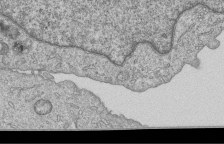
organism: Human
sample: MDA-MB-231 cells